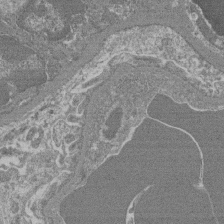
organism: Mouse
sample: Glomerulus